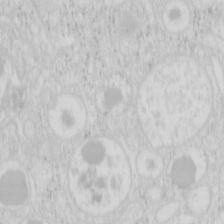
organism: Mouse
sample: Pancreas